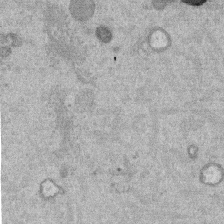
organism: Mouse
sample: Dividing mouse embryo 1 cell stage